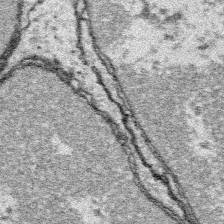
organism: Platynereis dumerilii